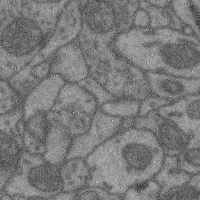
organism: Mouse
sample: Cerebral cortex